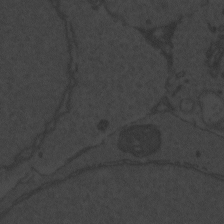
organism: Zebrafish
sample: Macrophage infected with Toxoplasma gondii